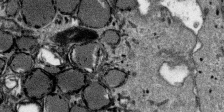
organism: Human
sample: Lung epithelial cells, uninfected (mock) control